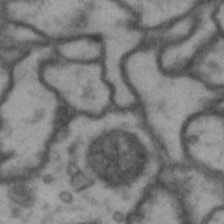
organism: Drosophila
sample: Brain